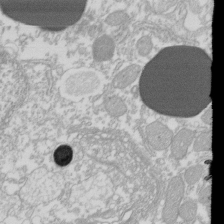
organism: Xenopus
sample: Cilia; centrioles in frog embryo cells